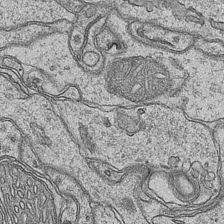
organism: Mouse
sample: CA1 Hippocampus